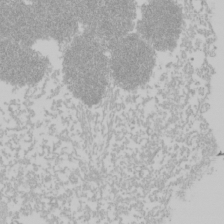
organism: Mouse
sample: Cancer cell death in ED-1 cells